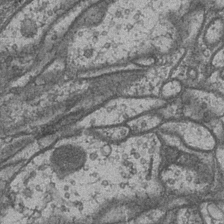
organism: Drosophila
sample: Optic medulla